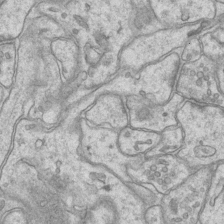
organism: Mouse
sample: CA1 Hippocampus